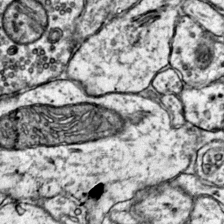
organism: Mouse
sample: Primary visual cortex